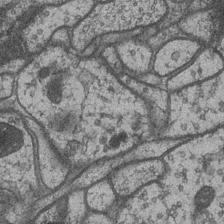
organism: Drosophila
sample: Optic medulla